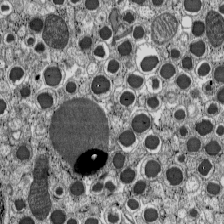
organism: C57BL Mouse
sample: Pancreatic islet